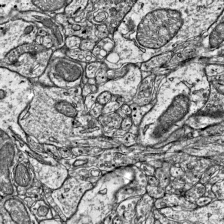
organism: Mouse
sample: Visual Cortex